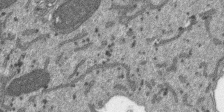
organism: Human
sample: Lung epithelial cells infected with SARS-CoV-2